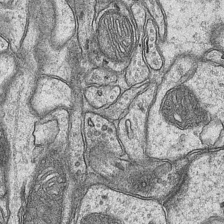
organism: Mouse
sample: CA1 Hippocampus